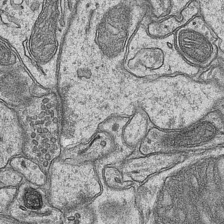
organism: Mouse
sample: CA1 Hippocampus